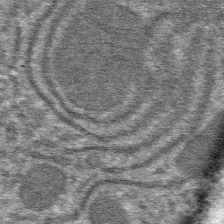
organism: Mouse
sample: Mouse hepatocytes